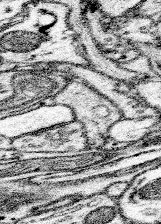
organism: Mouse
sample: Somatosensory cortex neuropil